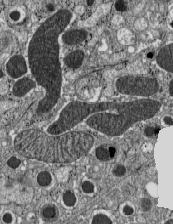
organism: C57BL Mouse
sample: Pancreatic islet